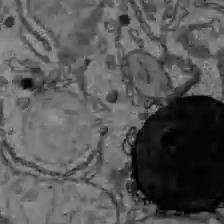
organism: C57BL Mouse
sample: Liver